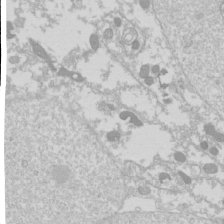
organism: Drosophila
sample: Cell division; meiosis; drosophila spermatocytes